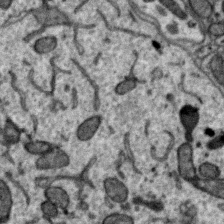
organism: Zebra finch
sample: Brain